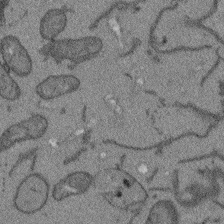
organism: Arabidopsis thaliana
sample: Root tip